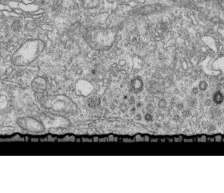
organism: Human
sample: HeLa cell HIV synapse